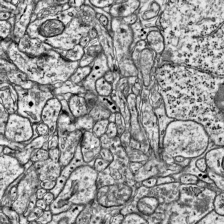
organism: Mouse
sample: Visual Cortex